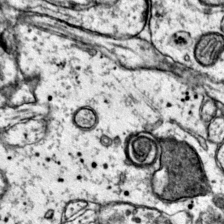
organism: Mouse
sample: Primary visual cortex